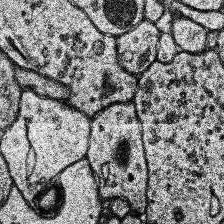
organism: Human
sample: Temporal Lobe